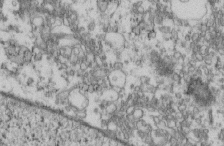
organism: Mouse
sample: Cilia; retinal pigment epithelium